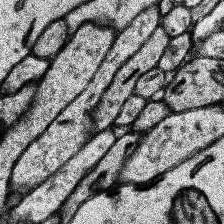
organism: Human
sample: Temporal Lobe